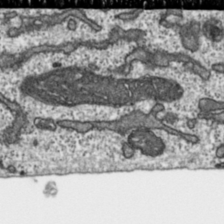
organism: Toxoplasma gondii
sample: Parasites in a vacuole inside a host cell